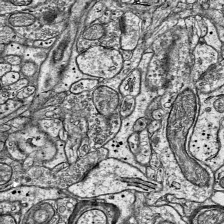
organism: Mouse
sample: Visual Cortex